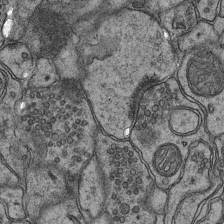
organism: Mouse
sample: CA1 Hippocampus